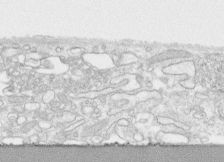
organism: Human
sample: CRL-1474